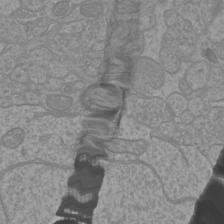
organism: Mouse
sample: Cortical neurons